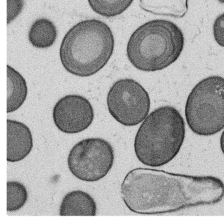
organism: B. subtilis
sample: Bacterial spore